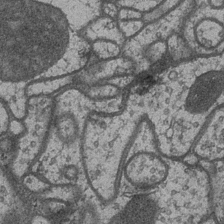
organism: Drosophila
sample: Optic medulla